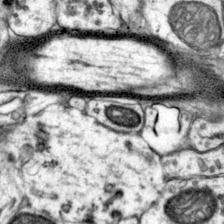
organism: Mouse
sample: Primary visual cortex